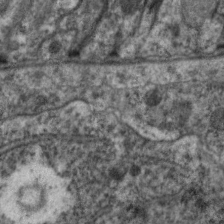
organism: C. elegans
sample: Pharynx